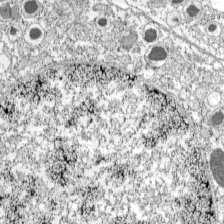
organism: C57BL Mouse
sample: Pancreatic islet